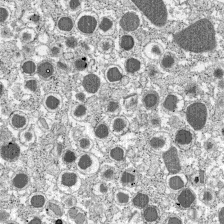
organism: C57BL Mouse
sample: Pancreatic islet